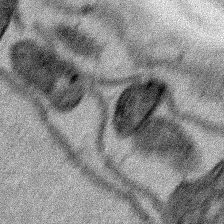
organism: Human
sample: Mitochondria in HCT116 cells